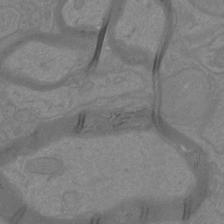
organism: Mouse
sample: Cortical neurons